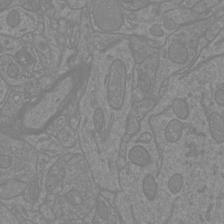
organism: Mouse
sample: Cortical neurons